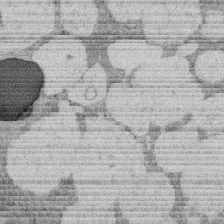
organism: Rat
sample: Salivary granule